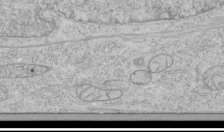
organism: Human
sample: Mitochondria in HCT116 cells